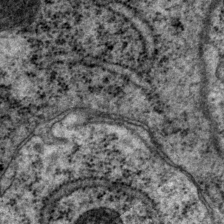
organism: P. pacificus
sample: Pharynx